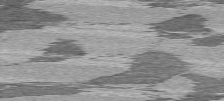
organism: C57BL Mouse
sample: Heart